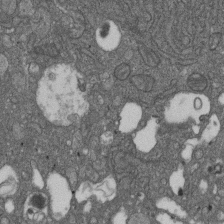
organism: Drosophila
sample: Nephrocyte